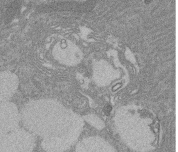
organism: Rat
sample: Salivary granule